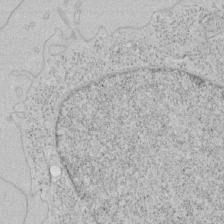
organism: Human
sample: Mitochondria in HCT116 cells